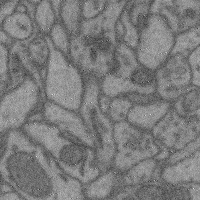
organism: Mouse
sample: Cerebral cortex